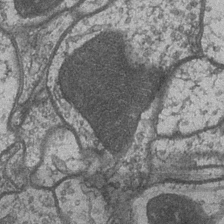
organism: Drosophila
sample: Optic medulla